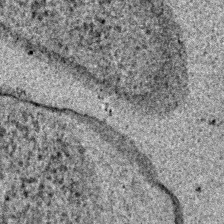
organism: E. coli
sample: E. Coli Bacteria